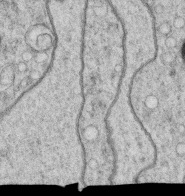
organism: C. elegans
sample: C. elegans oocyte; sperm cells